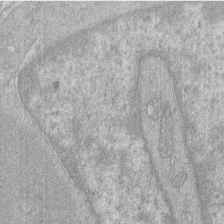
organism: Human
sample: Macrophage cells